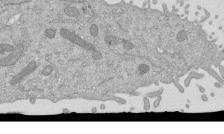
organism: Mouse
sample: ED-1 cell nuclei; centrioles